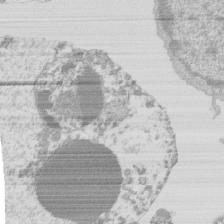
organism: Mouse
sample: Activated Pmel transgenic CD8+ T Cells